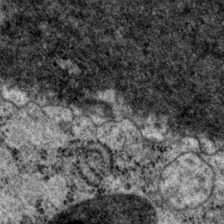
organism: P. pacificus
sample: Pharynx